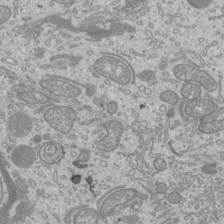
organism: Mouse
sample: Cilia; mouse epididymis